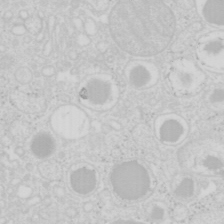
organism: Mouse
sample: Pancreas